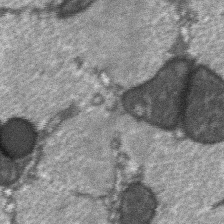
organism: C57BL Mouse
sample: Soleus